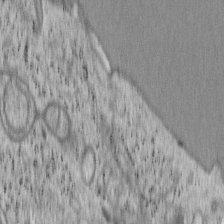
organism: Human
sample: HeLa cells